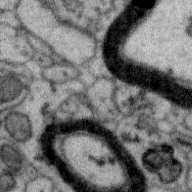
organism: Zebra finch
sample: Brain